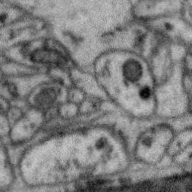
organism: Zebra finch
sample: Brain